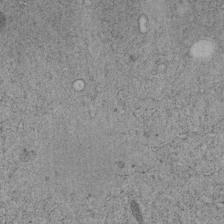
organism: C. elegans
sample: C. elegans embryo early stage